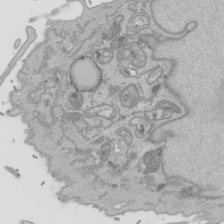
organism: Human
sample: Mitochondria in HCT116 cells